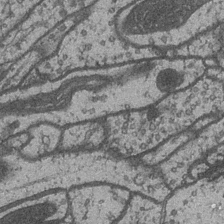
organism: Drosophila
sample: Optic medulla